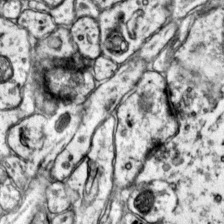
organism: Mouse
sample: Primary visual cortex